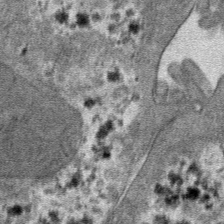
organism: Mouse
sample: Mouse hepatocytes